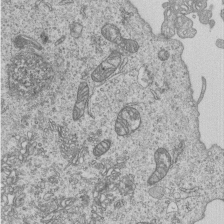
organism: Human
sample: MDA-MB-231 cells